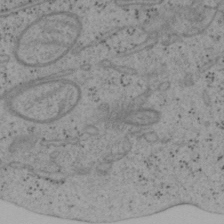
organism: Human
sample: HeLa cells